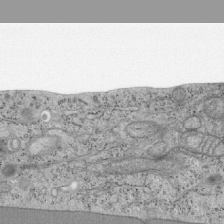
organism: Human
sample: HeLa cells